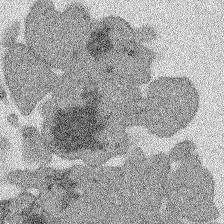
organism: Human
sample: HeLa cells